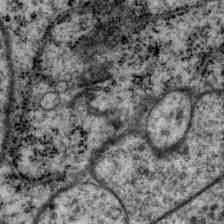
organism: P. pacificus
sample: Pharynx